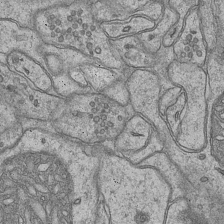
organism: Mouse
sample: CA1 Hippocampus